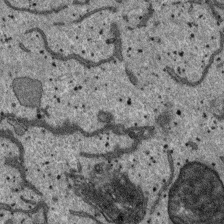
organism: Human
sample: Lung epithelial cells, uninfected (mock) control